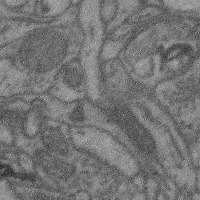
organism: Mouse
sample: Cerebral cortex